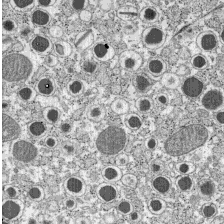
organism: C57BL Mouse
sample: Pancreatic islet